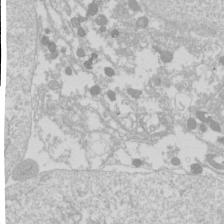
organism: Drosophila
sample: Cell division; meiosis; drosophila spermatocytes